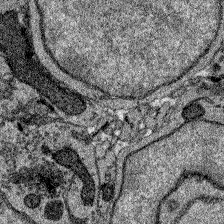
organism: Zebrafish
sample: Larval olfactory bulb